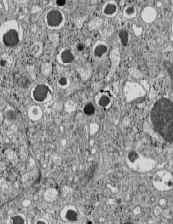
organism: C57BL Mouse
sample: Pancreatic islet